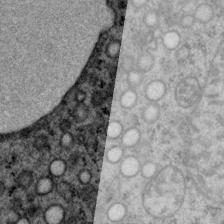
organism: P. pacificus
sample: Pharynx